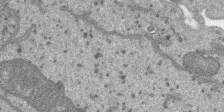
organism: Human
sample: Lung epithelial cells infected with SARS-CoV-2